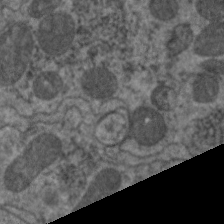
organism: C. elegans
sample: Pharynx